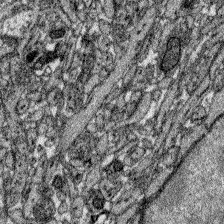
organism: Zebrafish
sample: Larval olfactory bulb